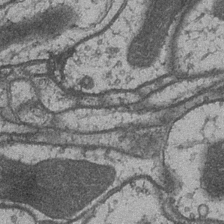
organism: Drosophila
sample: Optic medulla